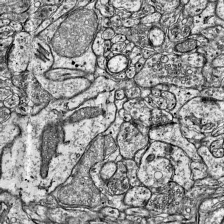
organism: Mouse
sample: Visual Cortex